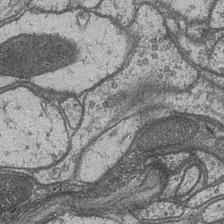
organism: Drosophila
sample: Optic medulla